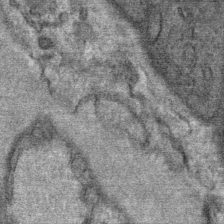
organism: Mouse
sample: Mouse Salivary gland